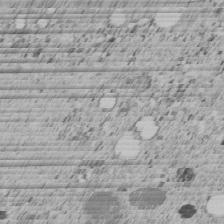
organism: C. elegans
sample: C. elegans embryo early stage